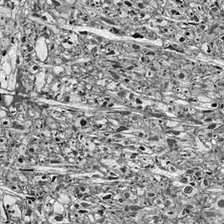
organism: Drosophila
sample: Optic lobe